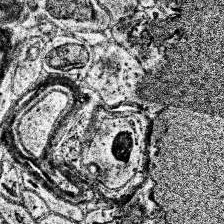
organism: Human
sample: Temporal Lobe